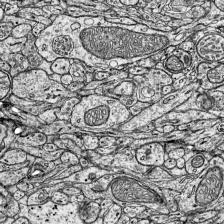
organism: Mouse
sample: Visual Cortex